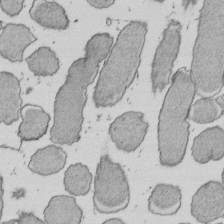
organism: E. coli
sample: Bacterial nucleoid